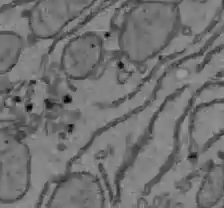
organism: C57BL Mouse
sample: Liver